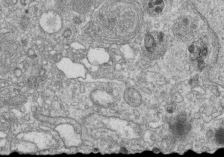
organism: Human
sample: HeLa cell HIV synapse